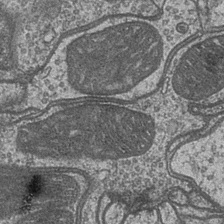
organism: Drosophila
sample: Optic medulla